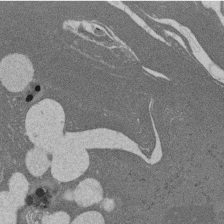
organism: Rat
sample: Salivary granule